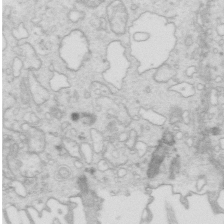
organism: Mouse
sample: Multiciliated cells